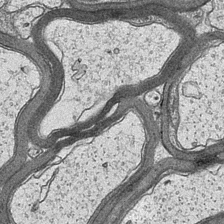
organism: Mouse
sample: CA1 Hippocampus